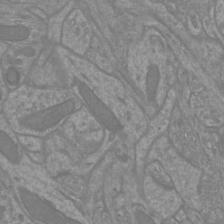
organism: Mouse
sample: Cortical neurons